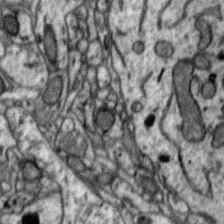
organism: Zebra finch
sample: Brain